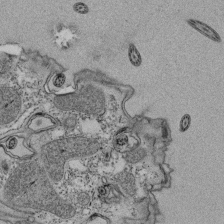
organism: Tetrahymena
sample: Cilia in tetrahymena